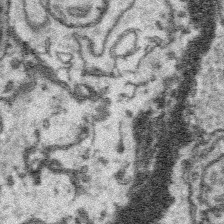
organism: Platynereis dumerilii